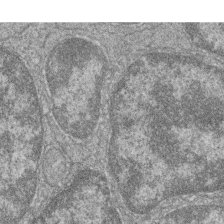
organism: Zebrafish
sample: Cilia; retinal pigment epithelium